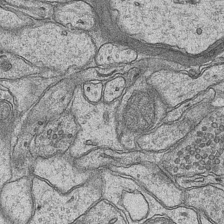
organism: Mouse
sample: CA1 Hippocampus